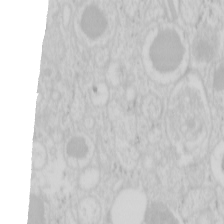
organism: Mouse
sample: Pancreas